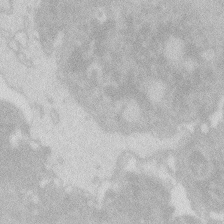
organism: Zebrafish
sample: Macrophage